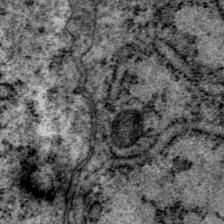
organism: P. pacificus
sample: Pharynx